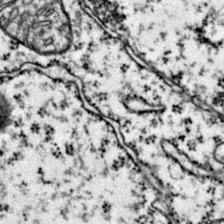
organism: Mouse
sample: Primary visual cortex